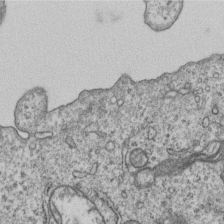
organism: Human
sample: MDA-MB-231 cells